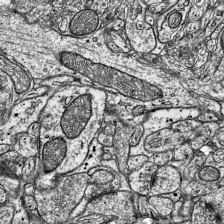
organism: Mouse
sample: Visual Cortex